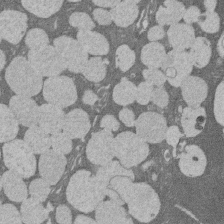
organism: Rat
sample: Salivary granule